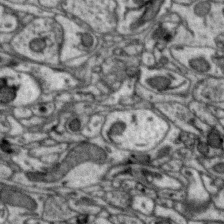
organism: Zebra finch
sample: Brain